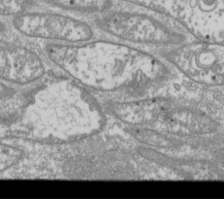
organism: Drosophila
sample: Cell division; meiosis; drosophila spermatocytes